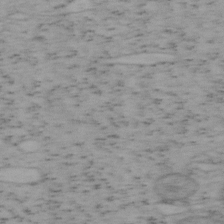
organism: Mouse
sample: OT-I killer T cells with ID8 ovarian cancer cells